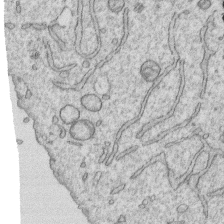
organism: Human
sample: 1205lu cells